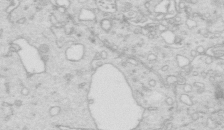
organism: Mouse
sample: Multiciliated cells